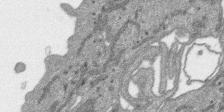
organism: Human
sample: Lung epithelial cells infected with SARS-CoV-2